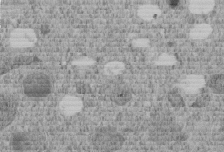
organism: C. elegans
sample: C. elegans embryo early stage